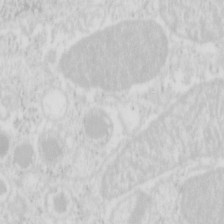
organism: Mouse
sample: Pancreas